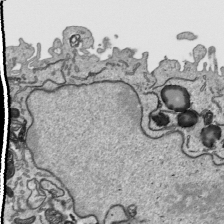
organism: Human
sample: Mitochondria in HCT116 cells